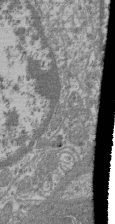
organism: Mouse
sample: Glomerulus